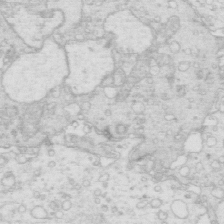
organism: Mouse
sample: Multiciliated cells